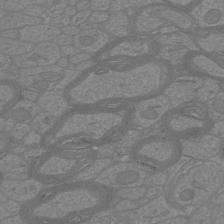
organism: Mouse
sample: Cortical neurons